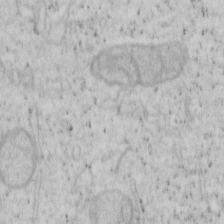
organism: Human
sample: HeLa cells